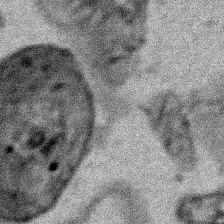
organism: Human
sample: Mitochondria in HCT116 cells